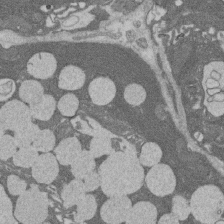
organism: Rat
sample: Salivary granule